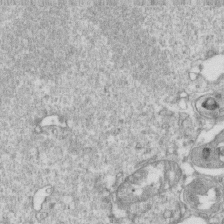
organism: Mouse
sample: Activated OT-1 CD8+ T cells